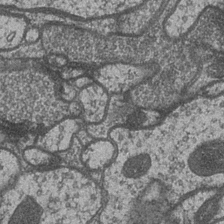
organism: Drosophila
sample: Optic medulla